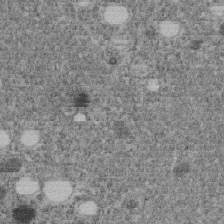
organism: C. elegans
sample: C. elegans embryo early stage